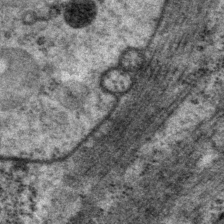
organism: P. pacificus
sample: Pharynx